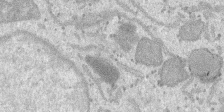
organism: Human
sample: Lung epithelial cells infected with SARS-CoV-2